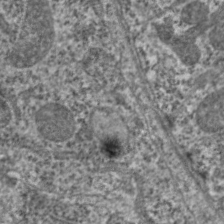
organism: C. elegans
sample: Pharynx